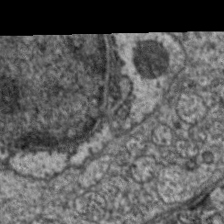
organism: C. elegans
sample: Pharynx